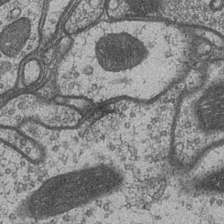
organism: Drosophila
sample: Optic medulla